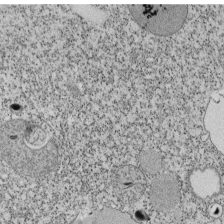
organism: Tetrahymena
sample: Cilia in tetrahymena